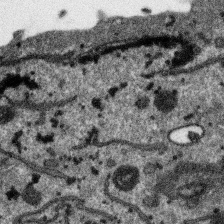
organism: Human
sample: Lung epithelial cells infected with SARS-CoV-2